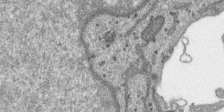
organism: Human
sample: Lung epithelial cells infected with SARS-CoV-2